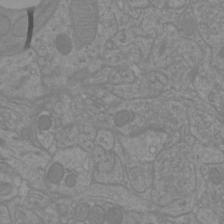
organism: Mouse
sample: Cortical neurons